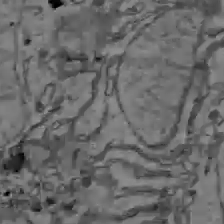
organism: C57BL Mouse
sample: Liver